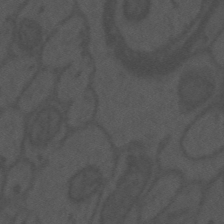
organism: Mouse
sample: Suprachiasmatic nucleus